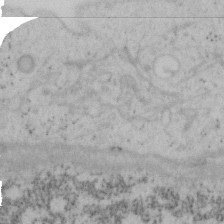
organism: Human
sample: HeLa cells